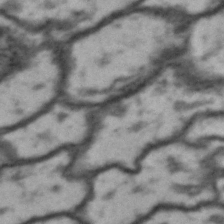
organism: Drosophila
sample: Brain